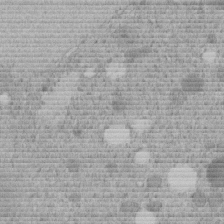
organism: C. elegans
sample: C. elegans embryo early stage